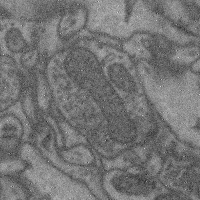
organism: Mouse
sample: Cerebral cortex